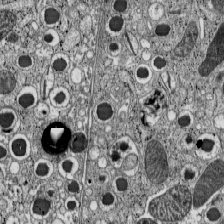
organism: C57BL Mouse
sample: Pancreatic islet